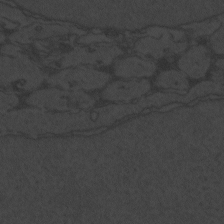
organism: Zebrafish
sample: Macrophage infected with Toxoplasma gondii